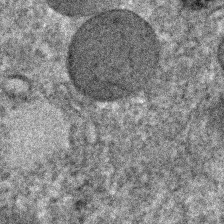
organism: C. elegans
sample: C. elegans embryo